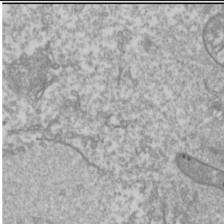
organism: Drosophila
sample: Cell division; meiosis; drosophila spermatocytes